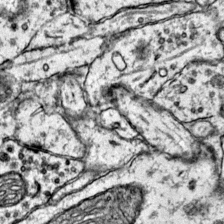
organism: Mouse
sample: Primary visual cortex